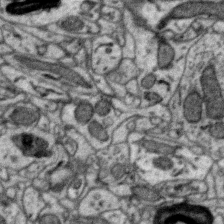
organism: Zebra finch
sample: Brain